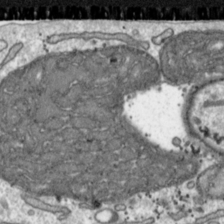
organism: Toxoplasma gondii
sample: Parasites in a vacuole inside a host cell